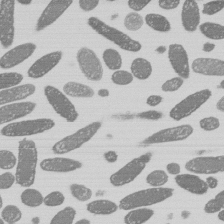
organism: E. coli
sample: Bacterial nucleoid